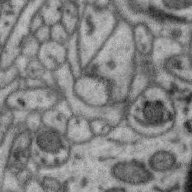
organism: Zebra finch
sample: Brain